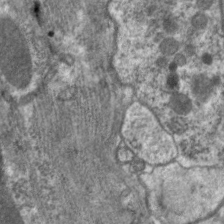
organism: C. elegans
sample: Pharynx